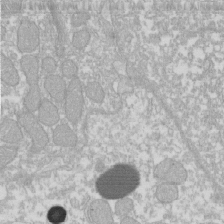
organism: Xenopus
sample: Cilia; centrioles in frog embryo cells